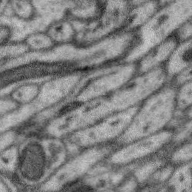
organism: Zebra finch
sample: Brain